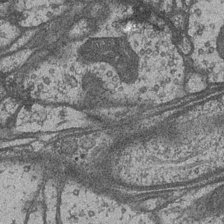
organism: Drosophila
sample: Optic medulla